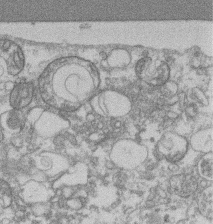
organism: Mouse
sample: T cell stromal cell synapse